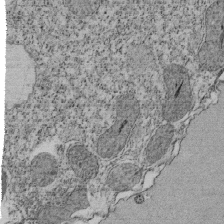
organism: Tetrahymena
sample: Cilia in tetrahymena